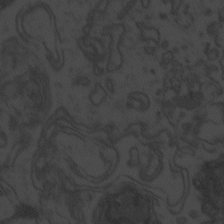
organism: Zebrafish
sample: Macrophage infected with Toxoplasma gondii